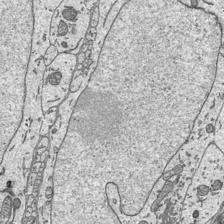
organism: Mouse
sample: Suprachiasmatic nucleus